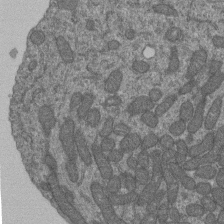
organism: Human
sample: Retinal organoid Rod and Cone cells